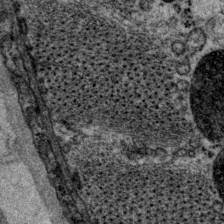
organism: P. pacificus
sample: Pharynx